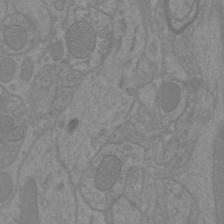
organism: Mouse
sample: Cortical neurons